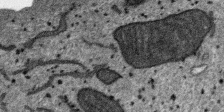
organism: Human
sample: Lung epithelial cells, uninfected (mock) control